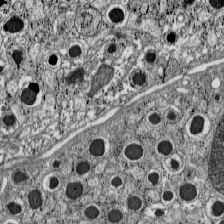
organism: C57BL Mouse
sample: Pancreatic islet